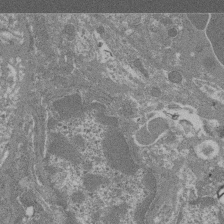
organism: Mouse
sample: Glomerulus